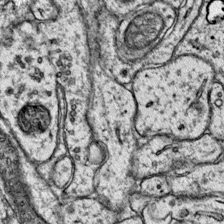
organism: Mouse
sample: Primary visual cortex